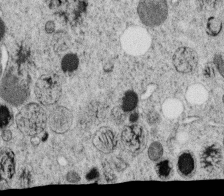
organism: C. elegans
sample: C. elegans oocyte; sperm cells